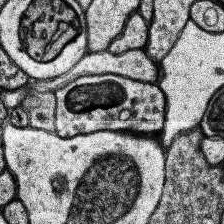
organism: Human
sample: Temporal Lobe